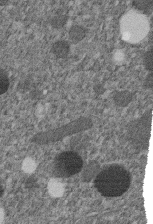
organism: C. elegans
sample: C. elegans embryo early stage